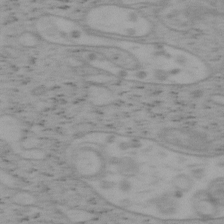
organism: Mouse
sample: OT-I killer T cells with ID8 ovarian cancer cells